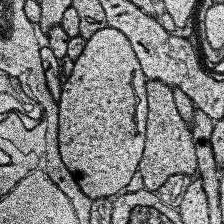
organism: Human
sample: Temporal Lobe